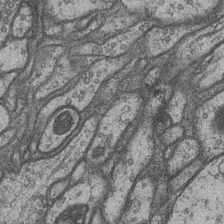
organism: Drosophila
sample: Optic medulla